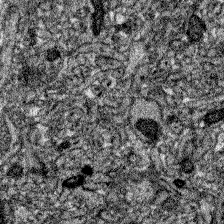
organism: Zebrafish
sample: Larval olfactory bulb